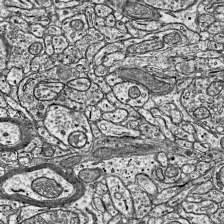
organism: Mouse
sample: Visual Cortex